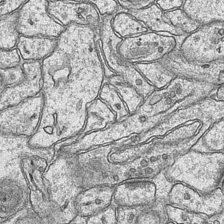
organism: Mouse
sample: CA1 Hippocampus